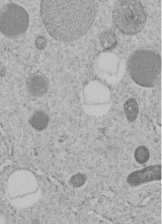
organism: C. elegans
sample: C. elegans embryo early stage